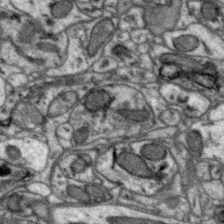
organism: Zebra finch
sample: Brain